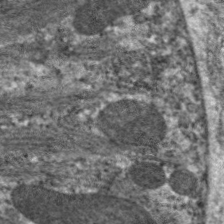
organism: C. elegans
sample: Pharynx